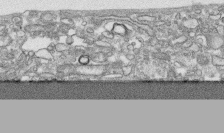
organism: Human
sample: CRL-1474